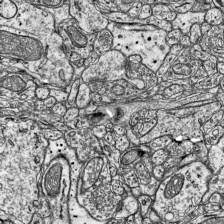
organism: Mouse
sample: Visual Cortex